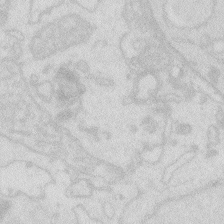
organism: Zebrafish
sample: Macrophage